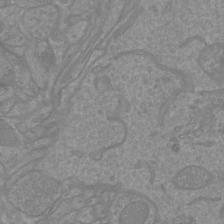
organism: Mouse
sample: Cortical neurons